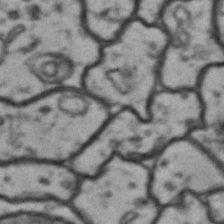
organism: Drosophila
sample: Brain